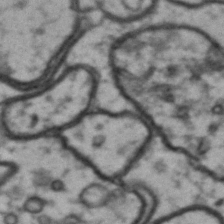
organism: Drosophila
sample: Brain